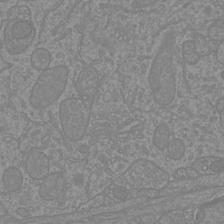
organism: Mouse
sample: Cortical neurons